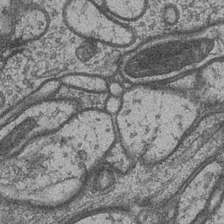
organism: Drosophila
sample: Optic medulla